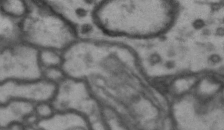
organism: Drosophila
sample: Brain